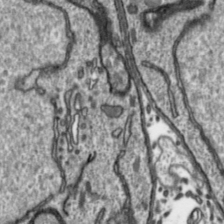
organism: Toxoplasma gondii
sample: Parasites in a vacuole inside a host cell